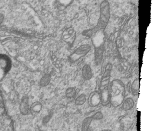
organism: Human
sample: MDA-MB-231 cells